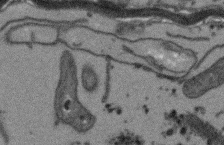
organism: Arabidopsis thaliana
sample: Root tip